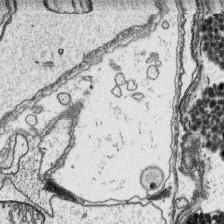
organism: Platynereis dumerilii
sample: Parapodia